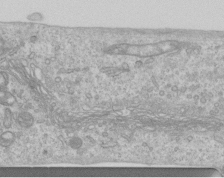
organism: Human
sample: Centriole in RPE cells